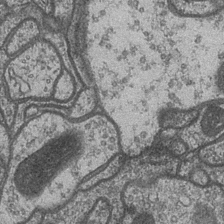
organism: Drosophila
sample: Optic medulla